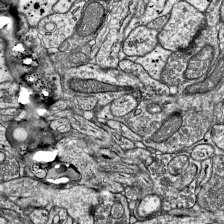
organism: Mouse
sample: Visual Cortex